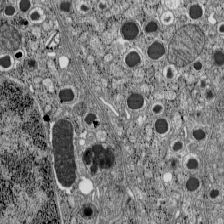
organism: C57BL Mouse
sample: Pancreatic islet